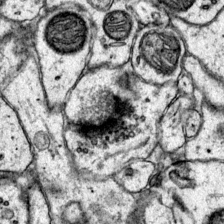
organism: Mouse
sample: Primary visual cortex